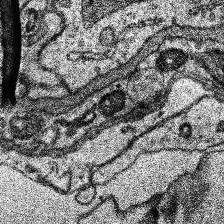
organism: Human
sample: Temporal Lobe